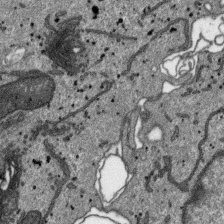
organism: Human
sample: Lung epithelial cells, uninfected (mock) control